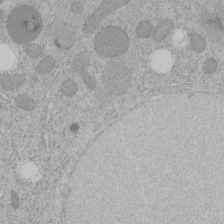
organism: C. elegans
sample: C. elegans embryo early stage